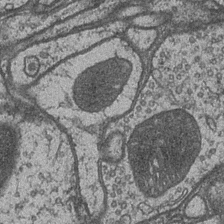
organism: Drosophila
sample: Optic medulla